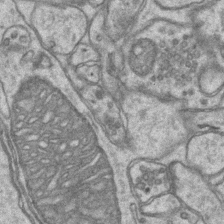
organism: Mouse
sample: CA1 Hippocampus